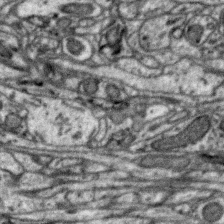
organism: Zebra finch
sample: Brain